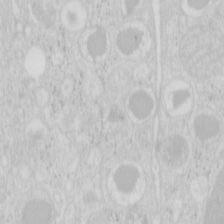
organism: Mouse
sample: Pancreas